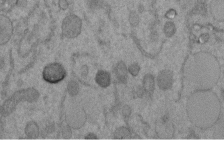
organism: C. elegans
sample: C. elegans embryo early stage